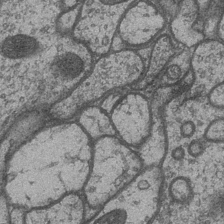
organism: Drosophila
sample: Optic medulla